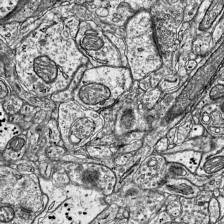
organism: Mouse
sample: Visual Cortex